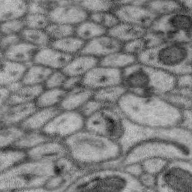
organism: Zebra finch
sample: Brain